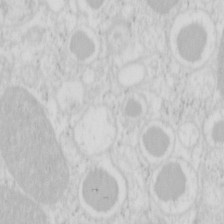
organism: Mouse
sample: Pancreas